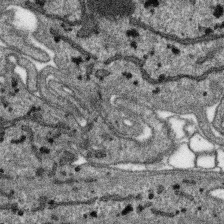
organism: Human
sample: Lung epithelial cells infected with SARS-CoV-2